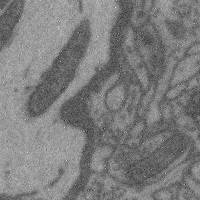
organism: Mouse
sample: Cerebral cortex